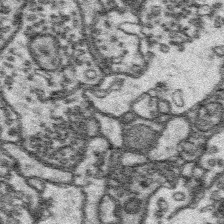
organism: Platynereis dumerilii